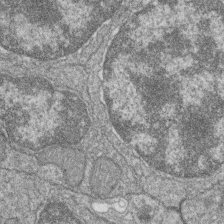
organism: Zebrafish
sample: Cilia; retinal pigment epithelium